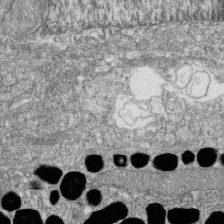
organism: Zebrafish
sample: Cilia; retinal pigment epithelium